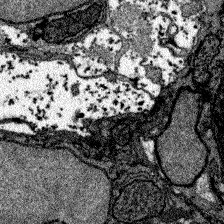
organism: Zebrafish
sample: Larval olfactory bulb